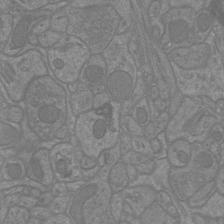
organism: Mouse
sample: Cortical neurons